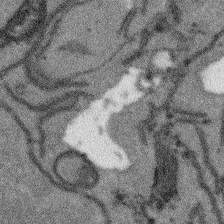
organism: Arabidopsis thaliana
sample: Root tip